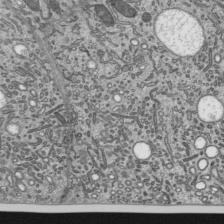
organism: Mouse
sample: Mouse epididymis efferent ductule cilia